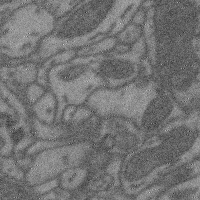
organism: Mouse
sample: Cerebral cortex